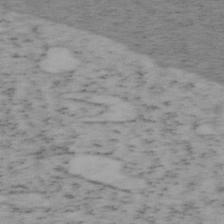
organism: Mouse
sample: OT-I killer T cells with ID8 ovarian cancer cells